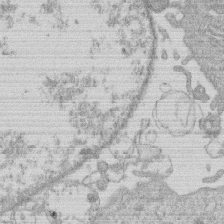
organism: Human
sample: Macrophage cells